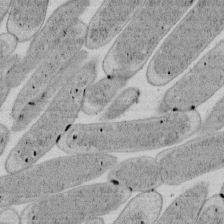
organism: E. coli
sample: Bacterial nucleoid